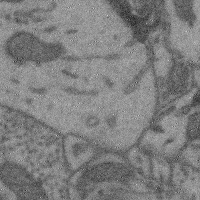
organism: Mouse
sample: Cerebral cortex